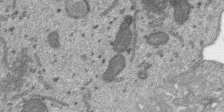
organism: Human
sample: Lung epithelial cells infected with SARS-CoV-2